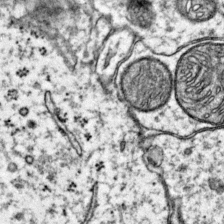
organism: Mouse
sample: Primary visual cortex